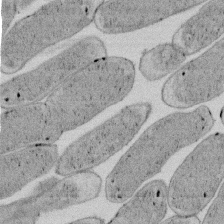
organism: E. coli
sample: Bacterial nucleoid